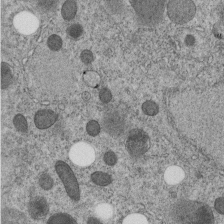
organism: C. elegans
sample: C. elegans embryo early stage